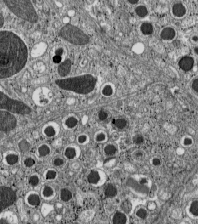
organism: C57BL Mouse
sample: Pancreatic islet